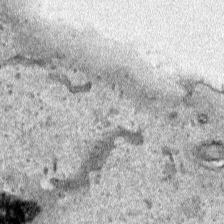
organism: Human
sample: Mitochondria in HCT116 cells